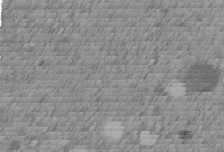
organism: C. elegans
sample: C. elegans embryo early stage